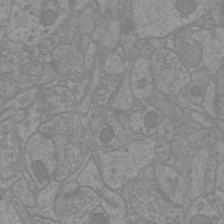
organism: Mouse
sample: Cortical neurons